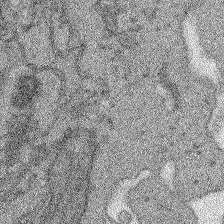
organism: Human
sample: HeLa cells